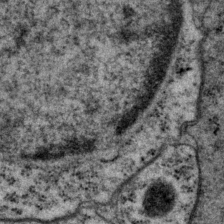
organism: P. pacificus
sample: Pharynx